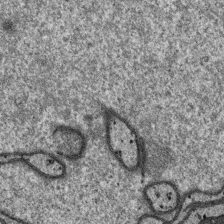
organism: Human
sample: Lung epithelial cells, uninfected (mock) control